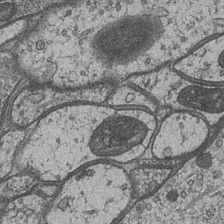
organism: Drosophila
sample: Optic medulla